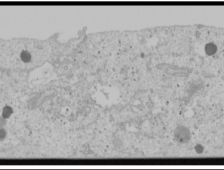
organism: Human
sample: Mitochondria in U2OS cells